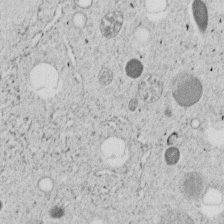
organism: C. elegans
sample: C. elegans embryo early stage